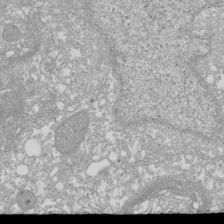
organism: Xenopus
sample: Cilia; centrioles in frog embryo cells